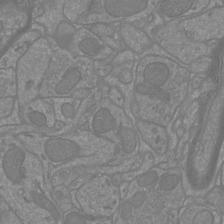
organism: Mouse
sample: Cortical neurons